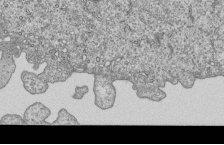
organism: Human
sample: MDA-MB-231 cells